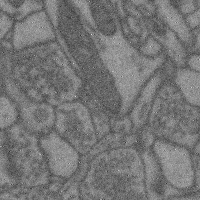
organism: Mouse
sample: Cerebral cortex